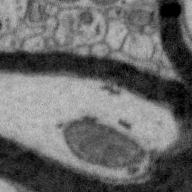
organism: Zebra finch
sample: Brain